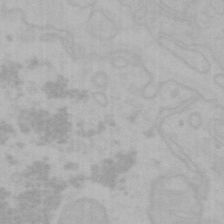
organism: Mouse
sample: Choroid plexus